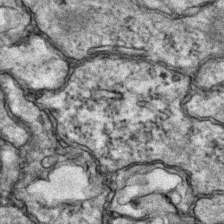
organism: Zebrafish